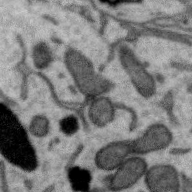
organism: Zebra finch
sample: Brain